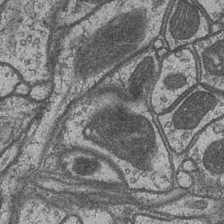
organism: Drosophila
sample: Optic medulla